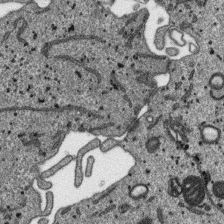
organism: Human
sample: Lung epithelial cells infected with SARS-CoV-2